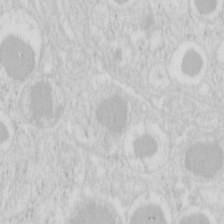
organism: Mouse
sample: Pancreas